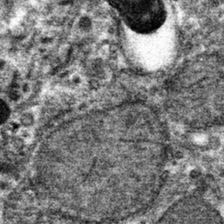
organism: Mouse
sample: Mouse hepatocytes